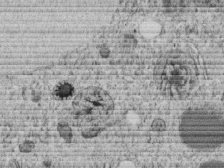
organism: C. elegans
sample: C. elegans embryo early stage